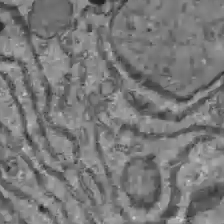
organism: C57BL Mouse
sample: Liver